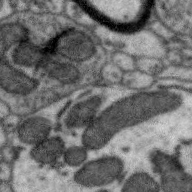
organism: Zebra finch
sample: Brain